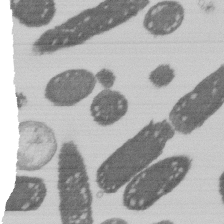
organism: E. coli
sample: Bacterial nucleoid